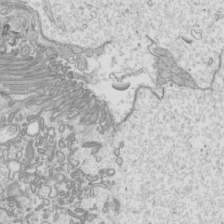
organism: Mouse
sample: Cilia; mouse epididymis